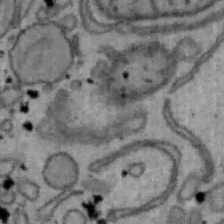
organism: Mouse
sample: Liver